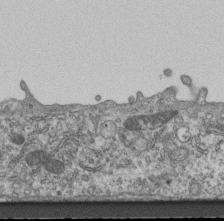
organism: Mouse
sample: Centriole in ependymal cells